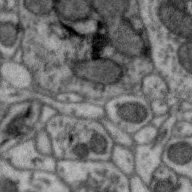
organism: Zebra finch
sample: Brain